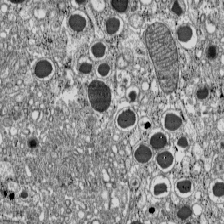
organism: C57BL Mouse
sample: Pancreatic islet